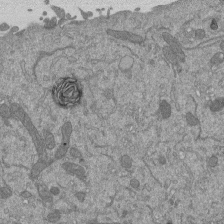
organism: Mouse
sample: ED-1 cell nuclei; centrioles